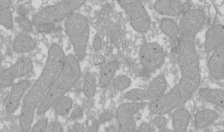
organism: Xenopus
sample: Cilia; centrioles in frog embryo cells